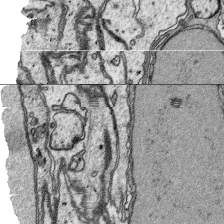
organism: Platynereis dumerilii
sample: Parapodia